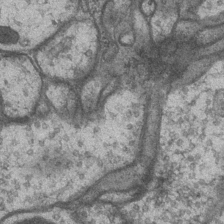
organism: Drosophila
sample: Optic medulla